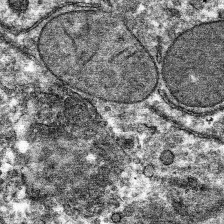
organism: Mouse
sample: Mouse hepatocytes